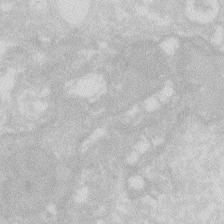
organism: Zebrafish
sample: Macrophage